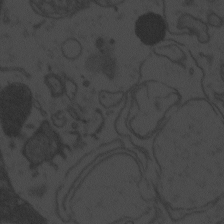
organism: Zebrafish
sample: Macrophage infected with Toxoplasma gondii